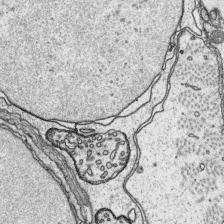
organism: Platynereis dumerilii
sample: Parapodia